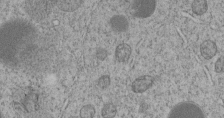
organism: C. elegans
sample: C. elegans embryo early stage